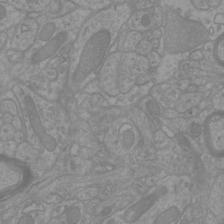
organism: Mouse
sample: Cortical neurons